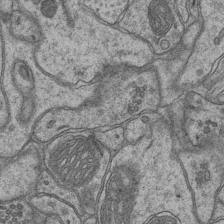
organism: Mouse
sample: CA1 Hippocampus